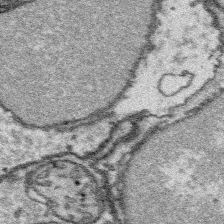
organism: Platynereis dumerilii